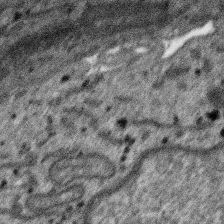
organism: Human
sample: Lung epithelial cells infected with SARS-CoV-2